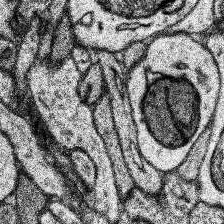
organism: Human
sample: Temporal Lobe